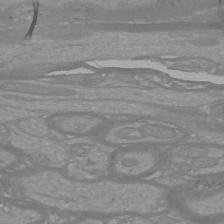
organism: Mouse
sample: Cortical neurons